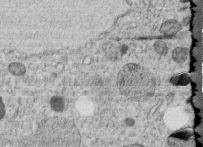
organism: C. elegans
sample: C. elegans embryo early stage